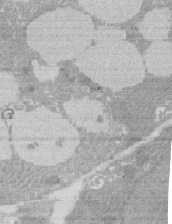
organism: Rat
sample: Salivary granule